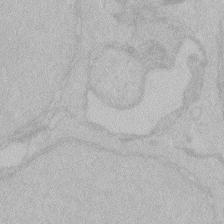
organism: Zebrafish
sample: Macrophage infected with Toxoplasma gondii